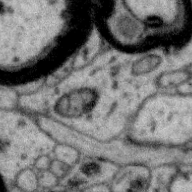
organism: Zebra finch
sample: Brain